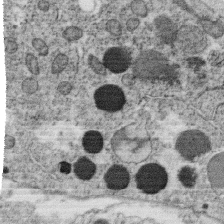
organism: C. elegans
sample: C. elegans oocyte; sperm cells